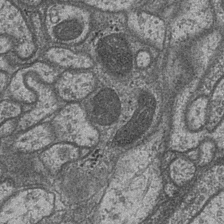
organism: Drosophila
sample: Optic medulla